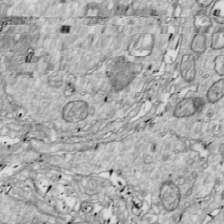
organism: Drosophila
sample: Cell division; meiosis; drosophila spermatocytes